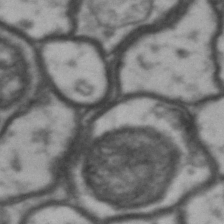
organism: Drosophila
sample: Brain